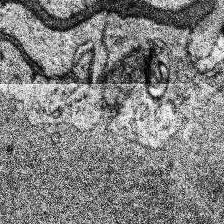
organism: Human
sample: Temporal Lobe